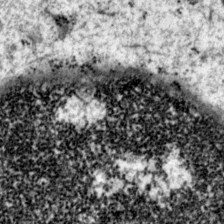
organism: Mouse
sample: Primary visual cortex